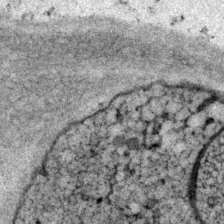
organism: P. pacificus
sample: Pharynx